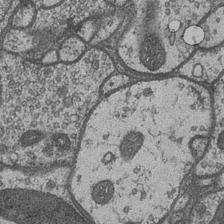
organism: Drosophila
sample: Optic medulla